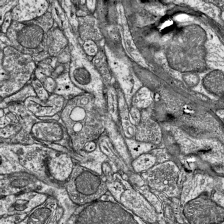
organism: Mouse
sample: Visual Cortex